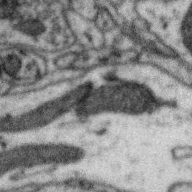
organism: Zebra finch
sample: Brain